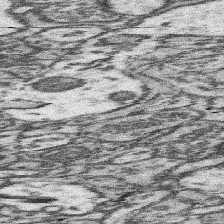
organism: Mouse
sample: Somatosensory cortex neuropil